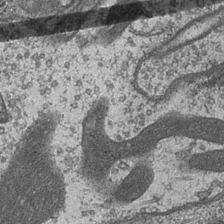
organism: Drosophila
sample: Optic medulla